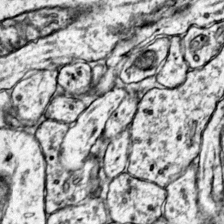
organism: Mouse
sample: Primary visual cortex